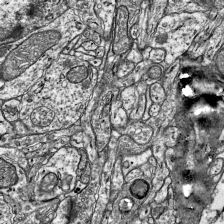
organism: Mouse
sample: Visual Cortex